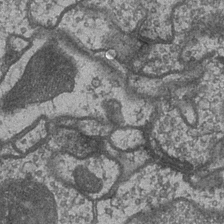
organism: Drosophila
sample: Optic medulla